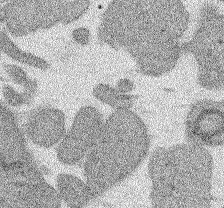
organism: Human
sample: HeLa cells